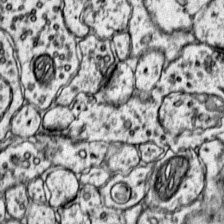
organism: Mouse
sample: Primary visual cortex